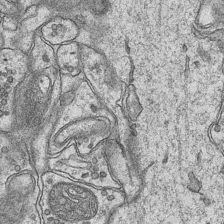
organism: Mouse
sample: CA1 Hippocampus